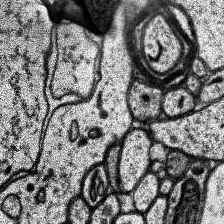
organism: Human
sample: Temporal Lobe